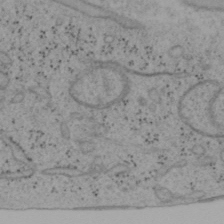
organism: Human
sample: HeLa cells